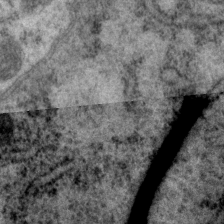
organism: P. pacificus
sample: Pharynx